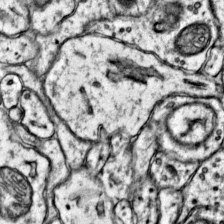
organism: Mouse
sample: Primary visual cortex